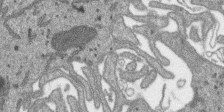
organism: Human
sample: Lung epithelial cells infected with SARS-CoV-2